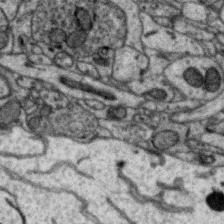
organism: Zebra finch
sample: Brain